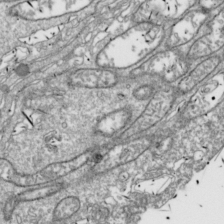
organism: Drosophila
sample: Cell division; meiosis; drosophila spermatocytes